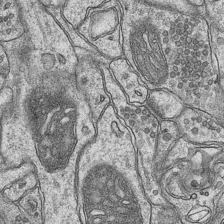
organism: Mouse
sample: CA1 Hippocampus